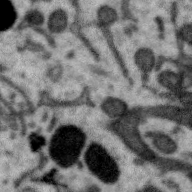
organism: Zebra finch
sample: Brain